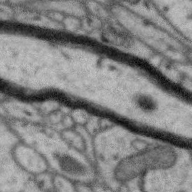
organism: Zebra finch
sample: Brain